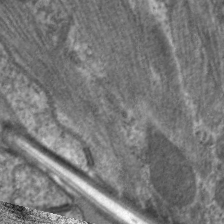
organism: C. elegans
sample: Pharynx